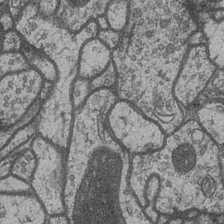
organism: Drosophila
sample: Optic medulla